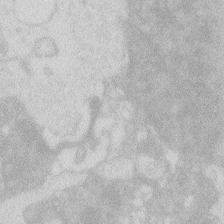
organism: Zebrafish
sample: Macrophage